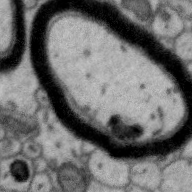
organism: Zebra finch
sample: Brain